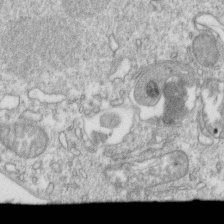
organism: Mouse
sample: Activated OT-1 CD8+ T cells